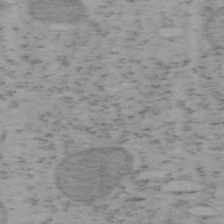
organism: Mouse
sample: OT-I killer T cells with ID8 ovarian cancer cells